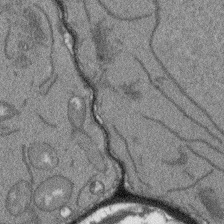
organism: Arabidopsis thaliana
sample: Root tip